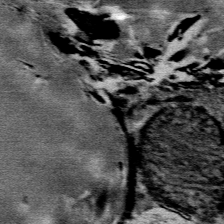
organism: Mouse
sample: Mouse Salivary gland